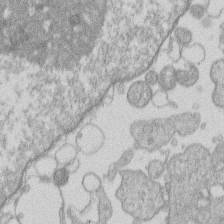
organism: Human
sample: Macrophage cells